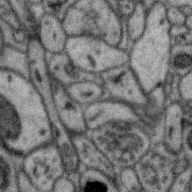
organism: Zebra finch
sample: Brain